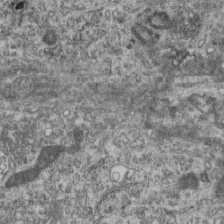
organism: Mouse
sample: Centriole in ependymal cells